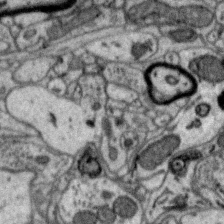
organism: Zebra finch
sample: Brain